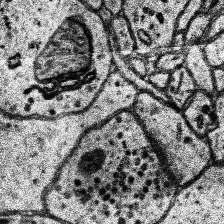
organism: Human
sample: Temporal Lobe